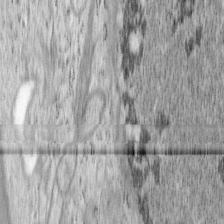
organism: Human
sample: HeLa cells